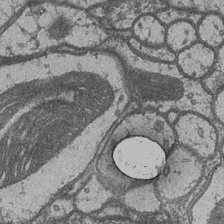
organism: Drosophila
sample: Optic medulla